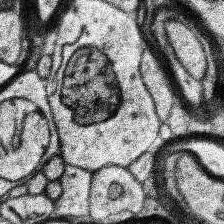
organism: Human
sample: Temporal Lobe